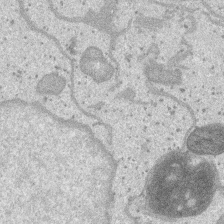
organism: Human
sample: Lung epithelial cells infected with SARS-CoV-2